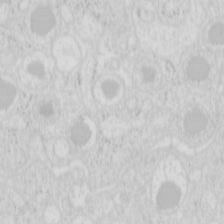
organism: Mouse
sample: Pancreas